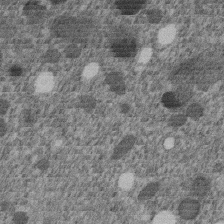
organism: C. elegans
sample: C. elegans embryo early stage